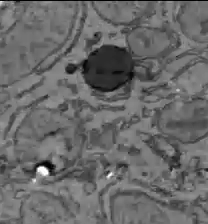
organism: C57BL Mouse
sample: Liver